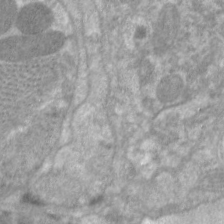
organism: C. elegans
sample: Pharynx